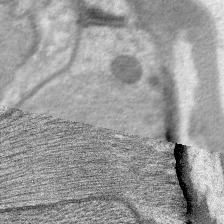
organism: C. elegans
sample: Pharynx